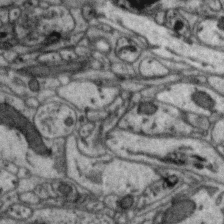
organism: Zebra finch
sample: Brain